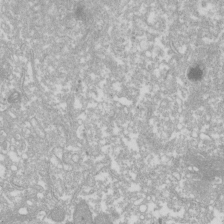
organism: Xenopus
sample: Cilia; centrioles in frog embryo cells